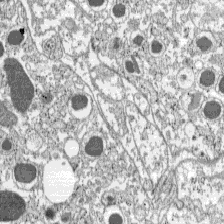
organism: C57BL Mouse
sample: Pancreatic islet